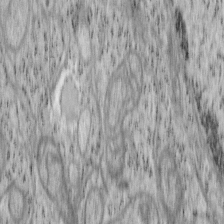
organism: Human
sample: HeLa cells